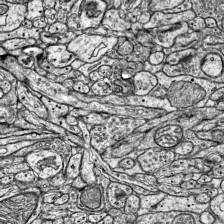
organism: Mouse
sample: Visual Cortex